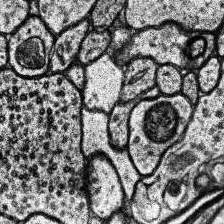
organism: Human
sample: Temporal Lobe